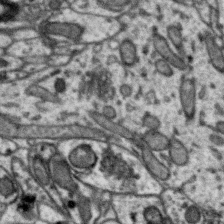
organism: Zebra finch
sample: Brain